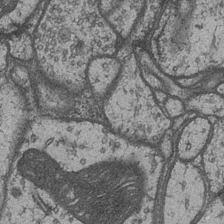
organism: Drosophila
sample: Optic medulla